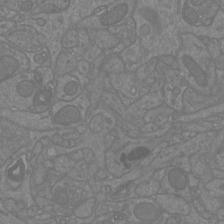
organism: Mouse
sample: Cortical neurons